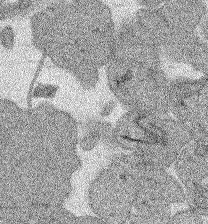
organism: Human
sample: HeLa cells